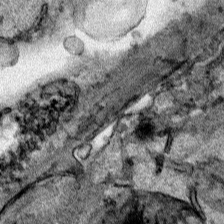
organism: Human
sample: Mitochondria in HCT116 cells